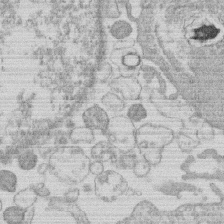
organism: Human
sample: Macrophage cells